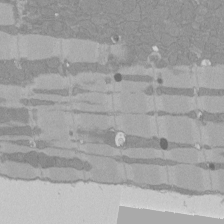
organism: Rat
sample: Left ventricle